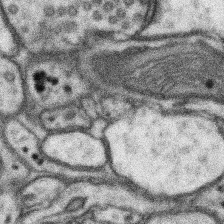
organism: Mouse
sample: Somatosensory cortex neuropil